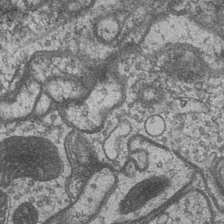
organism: Drosophila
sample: Optic medulla